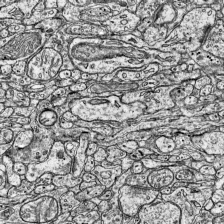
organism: Mouse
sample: Visual Cortex